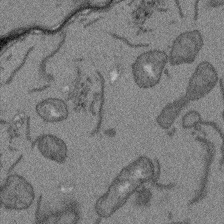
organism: Arabidopsis thaliana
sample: Root tip